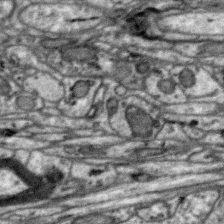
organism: Zebra finch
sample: Brain